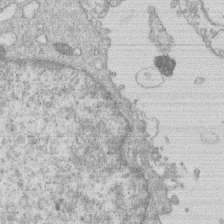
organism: Human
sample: Macrophage cells